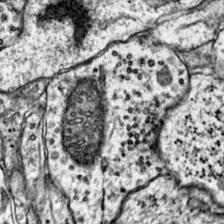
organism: Mouse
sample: Primary visual cortex